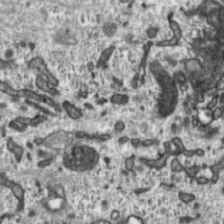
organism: Toxoplasma gondii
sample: Parasites in a vacuole inside a host cell